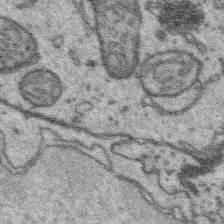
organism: Platynereis dumerilii